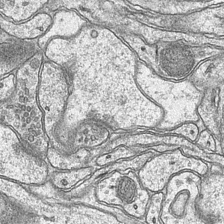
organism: Mouse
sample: CA1 Hippocampus